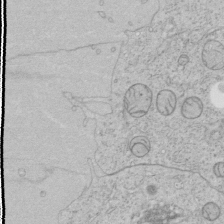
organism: Human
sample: Mitochondria in HCT116 cells